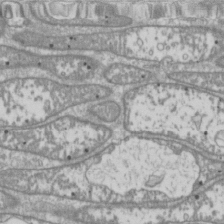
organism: Drosophila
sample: Cell division; meiosis; drosophila spermatocytes